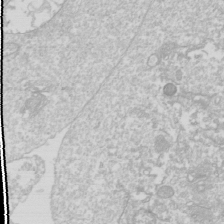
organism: Drosophila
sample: Cell division; meiosis; drosophila spermatocytes